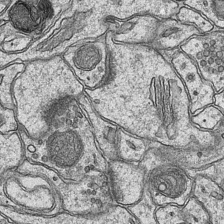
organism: Mouse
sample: CA1 Hippocampus